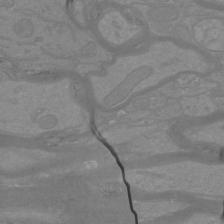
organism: Mouse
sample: Cortical neurons